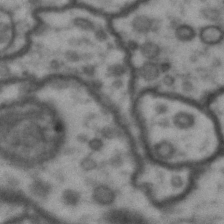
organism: Drosophila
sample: Brain